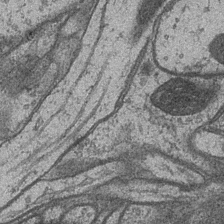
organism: Drosophila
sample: Optic medulla